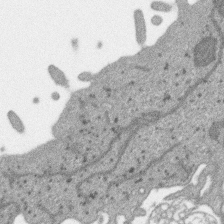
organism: Human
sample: Lung epithelial cells infected with SARS-CoV-2